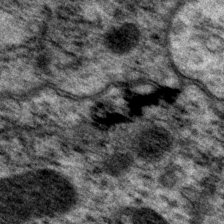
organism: P. pacificus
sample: Pharynx